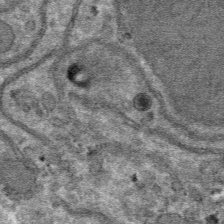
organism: Mouse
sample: Mouse hepatocytes